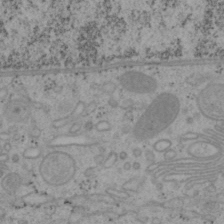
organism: Human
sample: HeLa cells